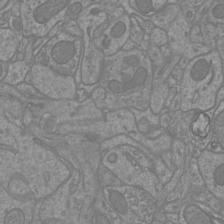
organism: Mouse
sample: Cortical neurons